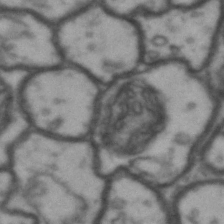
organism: Drosophila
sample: Brain